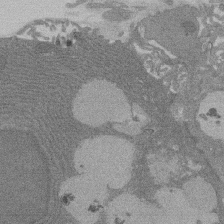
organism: Rat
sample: Salivary granule